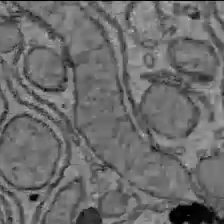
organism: C57BL Mouse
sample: Liver